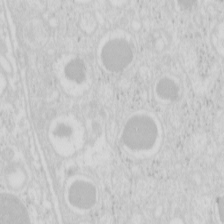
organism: Mouse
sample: Pancreas